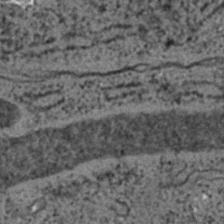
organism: C. elegans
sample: C. elegans embryo